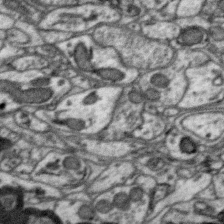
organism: Zebra finch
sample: Brain